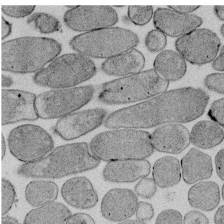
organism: E. coli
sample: Bacterial nucleoid